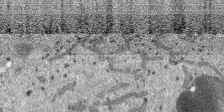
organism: Human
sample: Lung epithelial cells infected with SARS-CoV-2